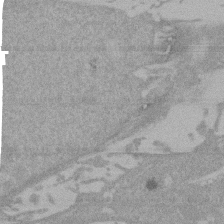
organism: Mouse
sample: ED-1 cell nuclei; centrioles